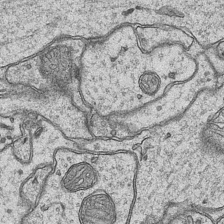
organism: Mouse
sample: CA1 Hippocampus